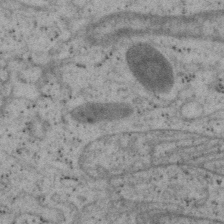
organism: Human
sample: HeLa cells